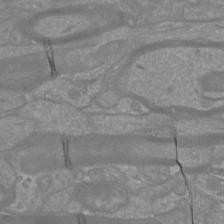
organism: Mouse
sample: Cortical neurons